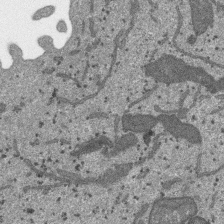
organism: Human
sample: Lung epithelial cells infected with SARS-CoV-2